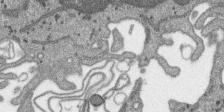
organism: Human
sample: Lung epithelial cells infected with SARS-CoV-2